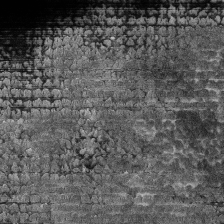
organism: Human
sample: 1205lu cells